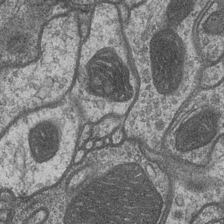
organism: Drosophila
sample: Optic medulla